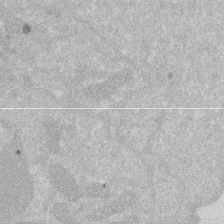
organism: Human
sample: HIV infected U937 cells